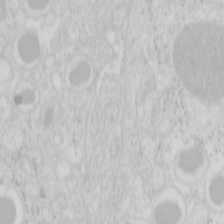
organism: Mouse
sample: Pancreas